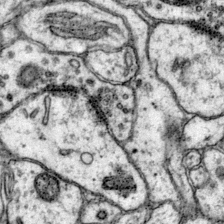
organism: Mouse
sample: Primary visual cortex